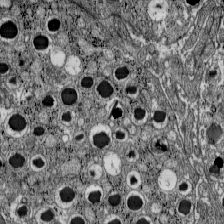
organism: C57BL Mouse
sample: Pancreatic islet